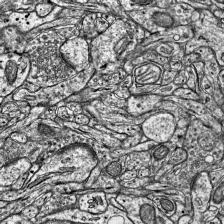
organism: Mouse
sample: Visual Cortex